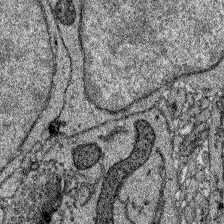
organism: Zebrafish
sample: Larval olfactory bulb